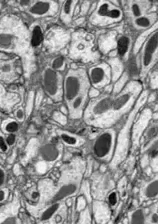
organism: Drosophila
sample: Optic lobe